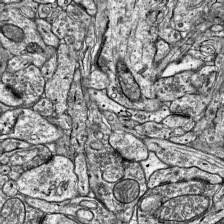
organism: Mouse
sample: Visual Cortex